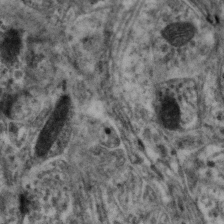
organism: Mouse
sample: Neocortex